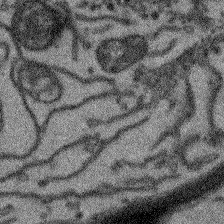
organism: Arabidopsis thaliana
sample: Root tip